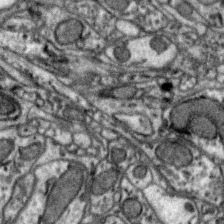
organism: Zebra finch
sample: Brain